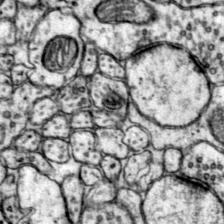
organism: Mouse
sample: Primary visual cortex